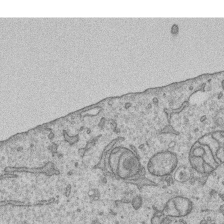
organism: Human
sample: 1205lu cells